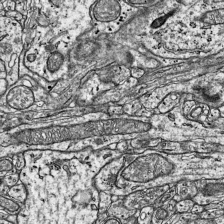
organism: Mouse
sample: Visual Cortex